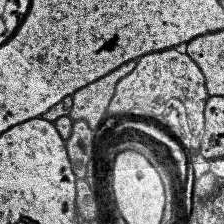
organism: Human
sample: Temporal Lobe